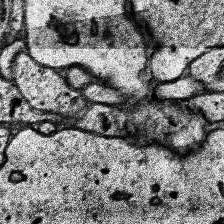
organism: Human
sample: Temporal Lobe